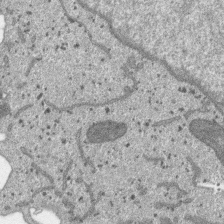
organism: Human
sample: Lung epithelial cells infected with SARS-CoV-2